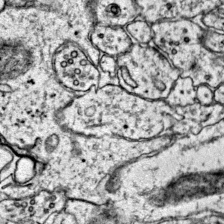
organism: Mouse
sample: Primary visual cortex